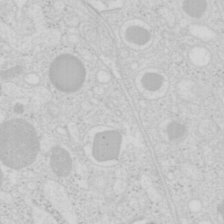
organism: Mouse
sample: Pancreas